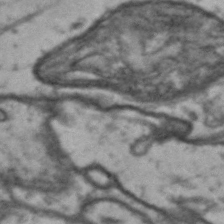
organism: Drosophila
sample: Brain